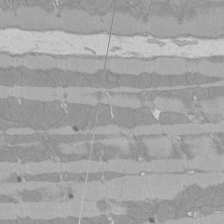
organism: Rat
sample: Left ventricle